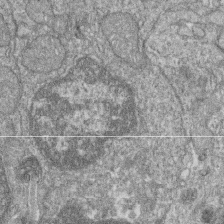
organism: Zebrafish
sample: Cilia; retinal pigment epithelium